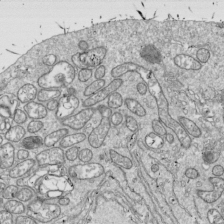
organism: Drosophila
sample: Cell division; meiosis; drosophila spermatocytes